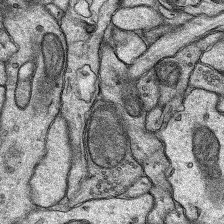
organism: Rat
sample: Hippocampus